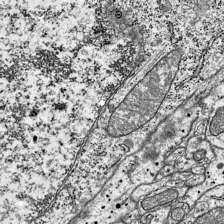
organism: Mouse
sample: Visual Cortex